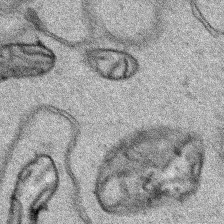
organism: Human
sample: Mitochondria in HCT116 cells